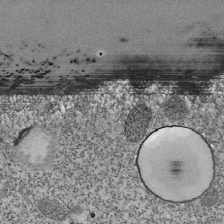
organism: Tetrahymena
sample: Cilia in tetrahymena